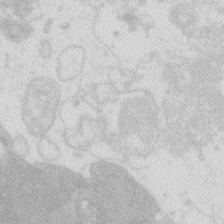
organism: Zebrafish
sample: Macrophage